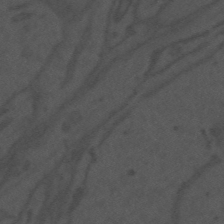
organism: Mouse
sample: Suprachiasmatic nucleus